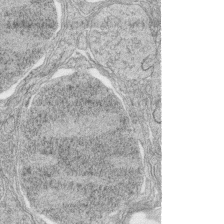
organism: Zebrafish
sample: synaptic ribbons in rod cells and cone cells